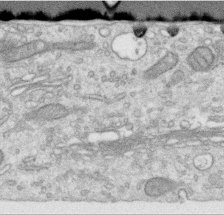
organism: Human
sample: Centriole in RPE cells